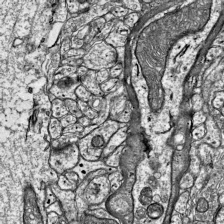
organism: Mouse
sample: Visual Cortex